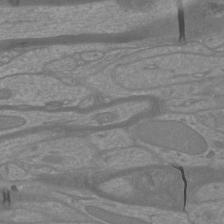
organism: Mouse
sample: Cortical neurons